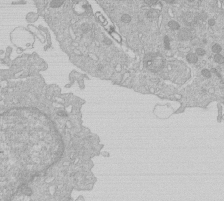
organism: Human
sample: Macrophage cells